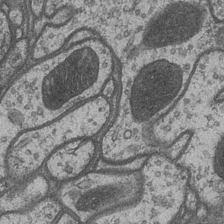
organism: Drosophila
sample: Optic medulla